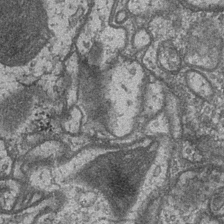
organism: Drosophila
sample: Optic medulla